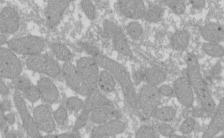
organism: Xenopus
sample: Cilia; centrioles in frog embryo cells